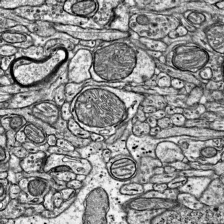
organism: Mouse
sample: Visual Cortex